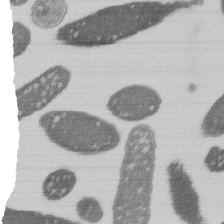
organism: E. coli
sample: Bacterial nucleoid